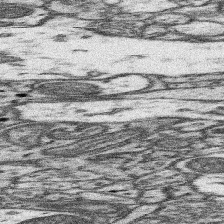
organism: Mouse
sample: Somatosensory cortex neuropil